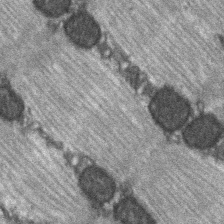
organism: C57BL Mouse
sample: Soleus